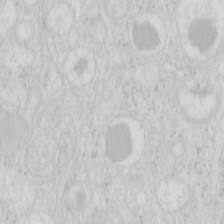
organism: Mouse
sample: Pancreas